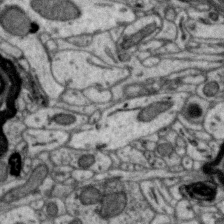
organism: Zebra finch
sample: Brain